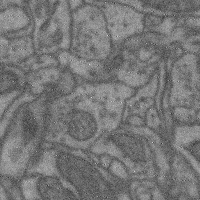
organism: Mouse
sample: Cerebral cortex